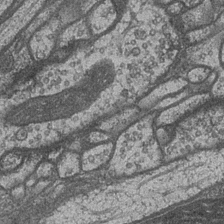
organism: Drosophila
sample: Optic medulla